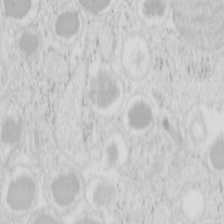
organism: Mouse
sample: Pancreas